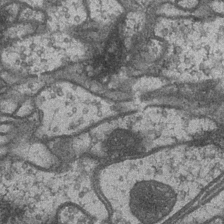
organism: Drosophila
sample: Optic medulla